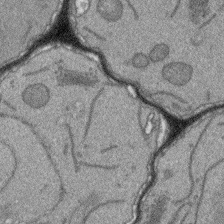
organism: Arabidopsis thaliana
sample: Root tip